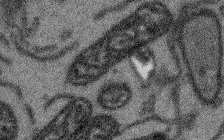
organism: Arabidopsis thaliana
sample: Root tip